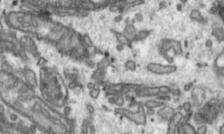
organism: Toxoplasma gondii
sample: Parasites in a vacuole inside a host cell